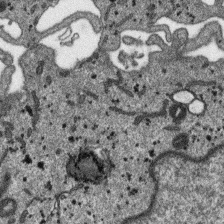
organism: Human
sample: Lung epithelial cells infected with SARS-CoV-2